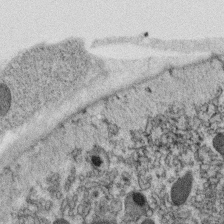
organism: C. elegans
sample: C. elegans oocyte; sperm cells